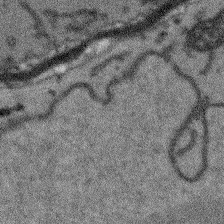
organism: Arabidopsis thaliana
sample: Root tip